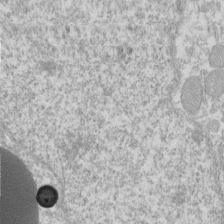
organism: Xenopus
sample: Cilia; centrioles in frog embryo cells